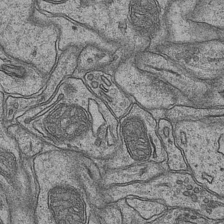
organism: Mouse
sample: CA1 Hippocampus